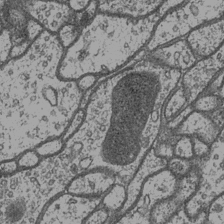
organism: Drosophila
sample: Optic medulla